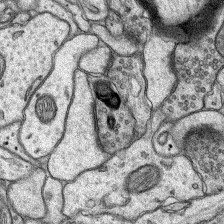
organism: Rat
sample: Hippocampus